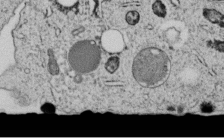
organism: C. elegans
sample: C. elegans embryo early stage